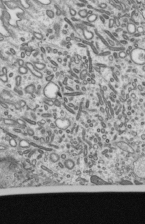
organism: Mouse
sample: Mouse epididymis efferent ductule cilia